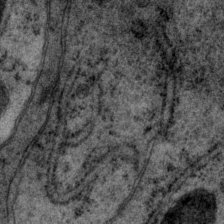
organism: P. pacificus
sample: Pharynx